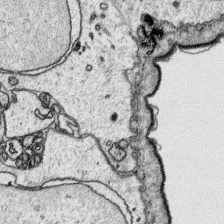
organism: Platynereis dumerilii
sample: Parapodia